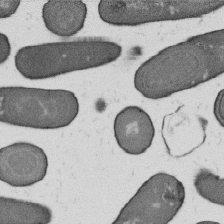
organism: B. subtilis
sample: Bacterial spore